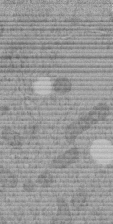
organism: C. elegans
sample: C. elegans embryo early stage